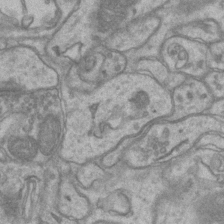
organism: Mouse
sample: CA1 Hippocampus